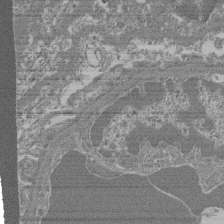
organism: Mouse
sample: Glomerulus